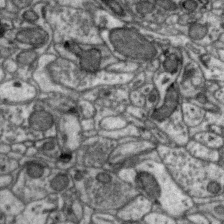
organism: Zebra finch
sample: Brain